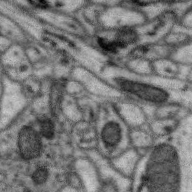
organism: Zebra finch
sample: Brain